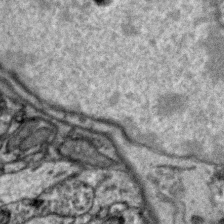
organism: Zebra finch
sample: Brain